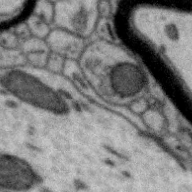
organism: Zebra finch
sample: Brain